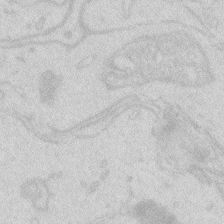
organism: Zebrafish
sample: Macrophage